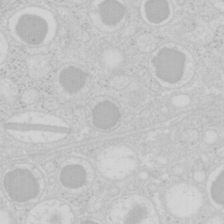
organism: Mouse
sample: Pancreas